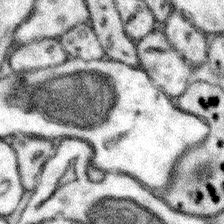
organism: Mouse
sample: Somatosensory cortex neuropil